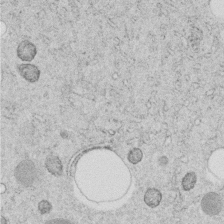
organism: C. elegans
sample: C. elegans embryo early stage